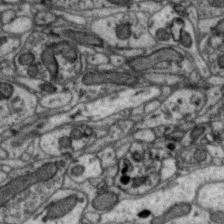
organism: Zebra finch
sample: Brain